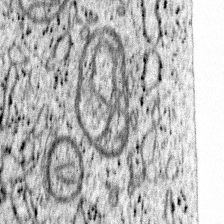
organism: Human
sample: HeLa cells